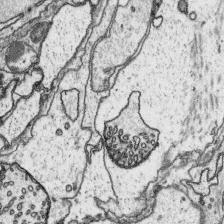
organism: Platynereis dumerilii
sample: Parapodia